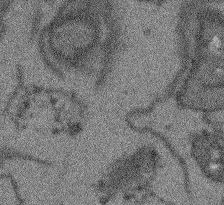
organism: Arabidopsis thaliana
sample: Root tip